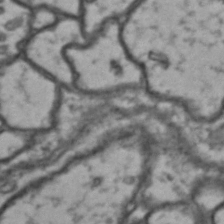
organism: Drosophila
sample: Brain